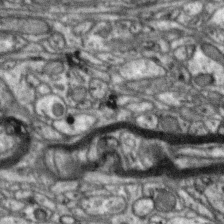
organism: Zebra finch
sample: Brain